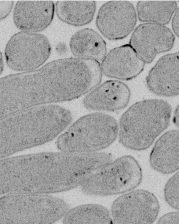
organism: E. coli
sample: Bacterial nucleoid